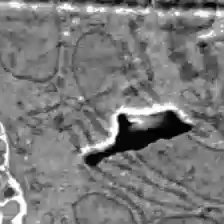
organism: C57BL Mouse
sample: Liver